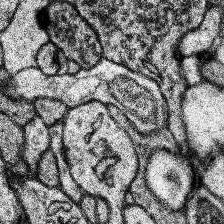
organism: Human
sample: Temporal Lobe